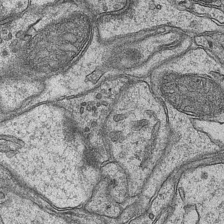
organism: Mouse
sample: CA1 Hippocampus